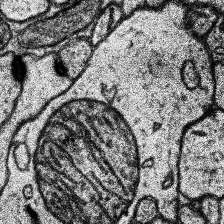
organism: Human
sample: Temporal Lobe